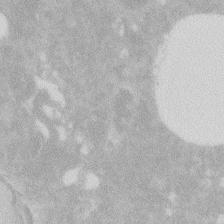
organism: Zebrafish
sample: Macrophage